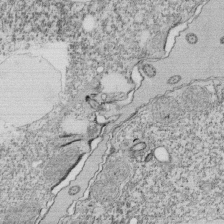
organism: Tetrahymena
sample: Cilia in tetrahymena